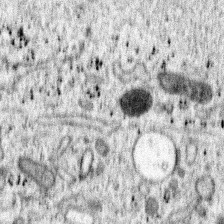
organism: Human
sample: HeLa cells